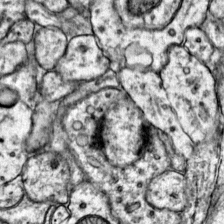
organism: Mouse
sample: Primary visual cortex